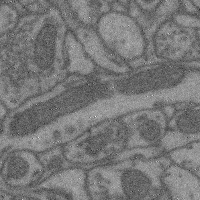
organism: Mouse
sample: Cerebral cortex